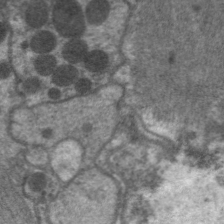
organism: C. elegans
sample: Pharynx